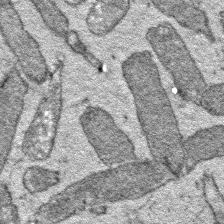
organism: E. coli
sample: E. Coli Bacteria